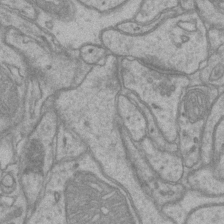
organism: Mouse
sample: CA1 Hippocampus